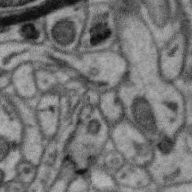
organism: Zebra finch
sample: Brain